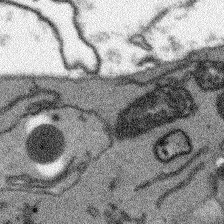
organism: Arabidopsis thaliana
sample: Root tip